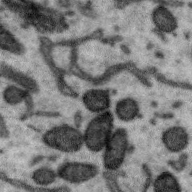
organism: Zebra finch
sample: Brain